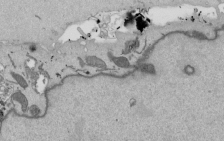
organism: Mouse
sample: ED-1 cell nuclei; centrioles